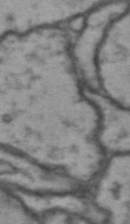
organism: Drosophila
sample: Brain